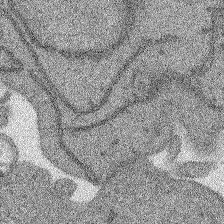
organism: Human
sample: HeLa cells